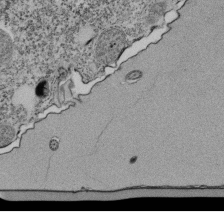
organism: Tetrahymena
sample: Cilia in tetrahymena